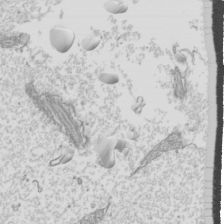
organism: Mouse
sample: Cilia; mouse epididymis